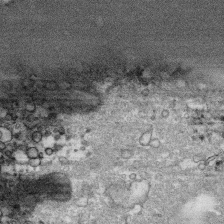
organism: Human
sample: CRL-1474